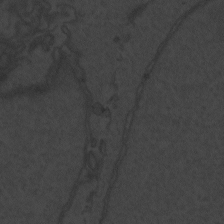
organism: Zebrafish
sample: Macrophage infected with Toxoplasma gondii